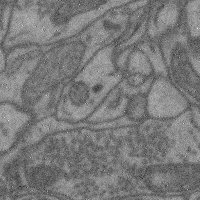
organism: Mouse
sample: Cerebral cortex